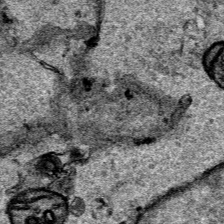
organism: Human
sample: Mitochondria in HCT116 cells